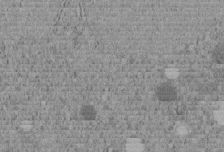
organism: C. elegans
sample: C. elegans embryo early stage